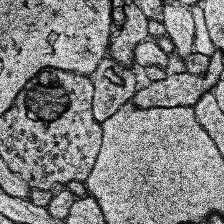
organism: Human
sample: Temporal Lobe